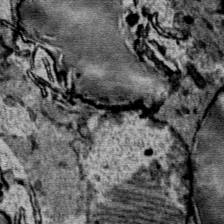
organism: Mouse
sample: Mouse Salivary gland